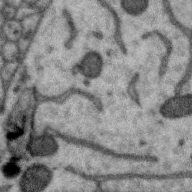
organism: Zebra finch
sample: Brain